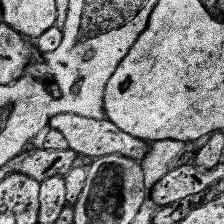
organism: Human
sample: Temporal Lobe